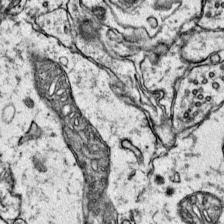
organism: Mouse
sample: Primary visual cortex